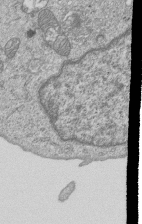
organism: Human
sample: MDA-MB-231 cells